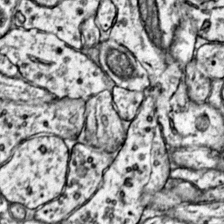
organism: Mouse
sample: Primary visual cortex